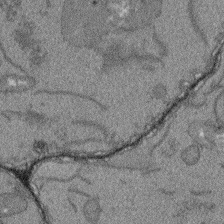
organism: Arabidopsis thaliana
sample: Root tip